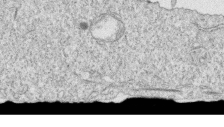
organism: Human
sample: HeLa cell HIV synapse